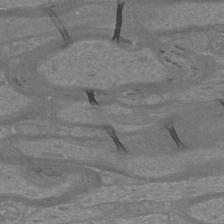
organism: Mouse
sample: Cortical neurons